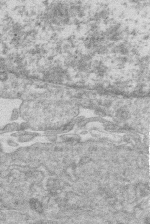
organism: Human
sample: Macrophage cells